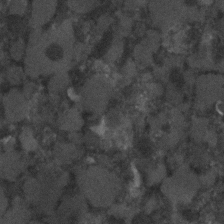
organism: C. elegans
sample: C. elegans embryo